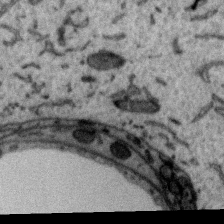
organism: Zebra finch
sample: Brain